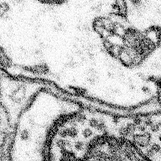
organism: Mouse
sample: Somatosensory cortex neuropil